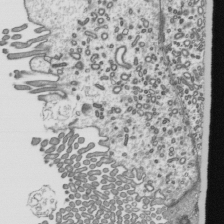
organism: Mouse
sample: Mouse epididymis efferent ductule cilia